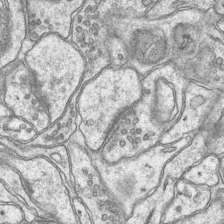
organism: Mouse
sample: CA1 Hippocampus